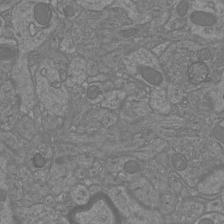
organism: Mouse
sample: Cortical neurons